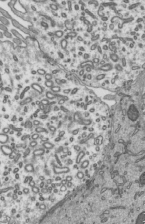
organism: Mouse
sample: Mouse epididymis efferent ductule cilia